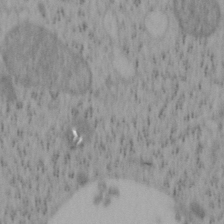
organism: Mouse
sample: OT-I killer T cells with ID8 ovarian cancer cells